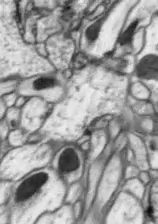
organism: Drosophila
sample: Optic lobe